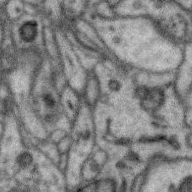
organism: Zebra finch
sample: Brain